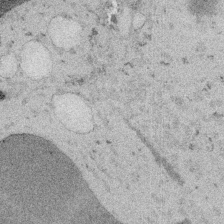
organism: Embia sp.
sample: Silk gland